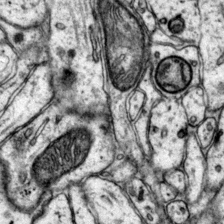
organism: Mouse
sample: Primary visual cortex